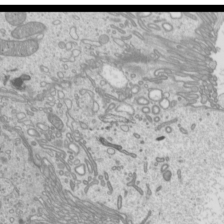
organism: Mouse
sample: Cilia; mouse epididymis